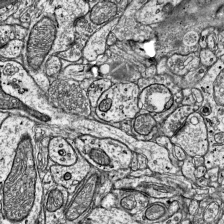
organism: Mouse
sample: Visual Cortex